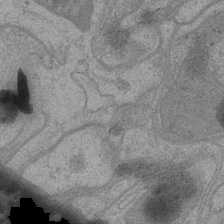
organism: Drosophila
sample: Optic medulla